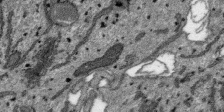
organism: Human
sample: Lung epithelial cells, uninfected (mock) control